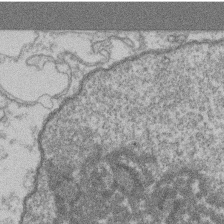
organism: Mouse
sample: T cell stromal cell synapse